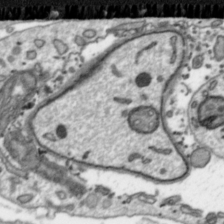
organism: Toxoplasma gondii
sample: Parasites in a vacuole inside a host cell